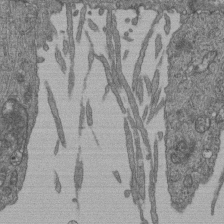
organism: Human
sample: Retinal organoid Rod and Cone cells